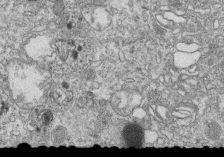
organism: Human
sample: HeLa cell HIV synapse